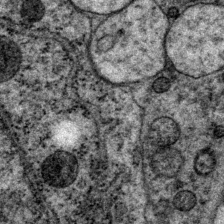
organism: P. pacificus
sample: Pharynx